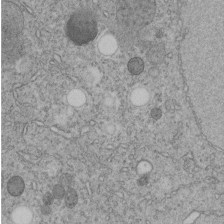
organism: C. elegans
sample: C. elegans embryo early stage